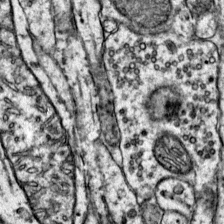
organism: Mouse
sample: Primary visual cortex